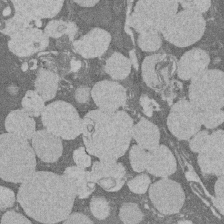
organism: Rat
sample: Salivary granule